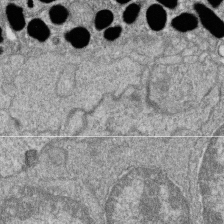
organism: Zebrafish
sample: Cilia; retinal pigment epithelium